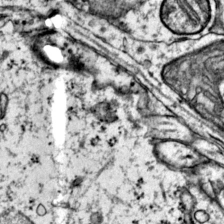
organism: Mouse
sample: Primary visual cortex